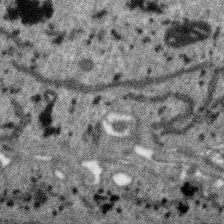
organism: Human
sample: Lung epithelial cells infected with SARS-CoV-2